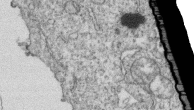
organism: Human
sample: HeLa cell HIV synapse